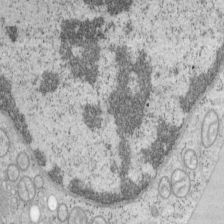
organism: Mouse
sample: OT-I killer T cells with ID8 ovarian cancer cells